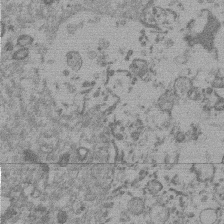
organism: Mouse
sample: Dividing mouse embryo 1 cell stage